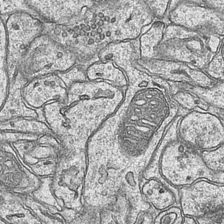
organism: Mouse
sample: CA1 Hippocampus